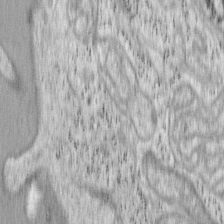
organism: Human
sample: HeLa cells